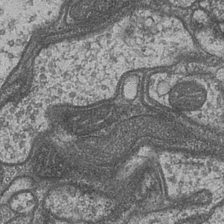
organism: Drosophila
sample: Optic medulla